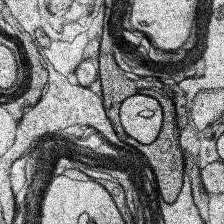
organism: Human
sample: Temporal Lobe